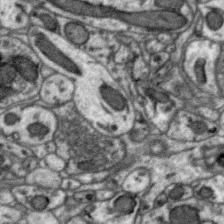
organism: Zebra finch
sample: Brain